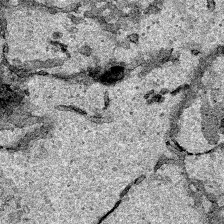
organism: Human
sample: Mitochondria in HCT116 cells